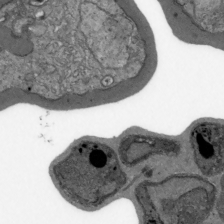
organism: Plasmodium falciparum